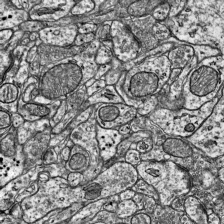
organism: Mouse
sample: Visual Cortex